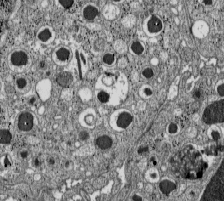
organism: C57BL Mouse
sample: Pancreatic islet